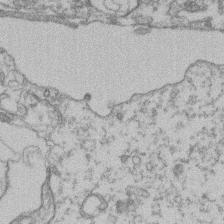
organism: Mouse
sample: T cell stromal cell synapse